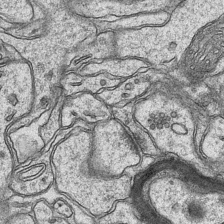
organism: Mouse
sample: CA1 Hippocampus